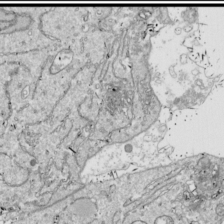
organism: Drosophila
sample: Cell division; meiosis; drosophila spermatocytes